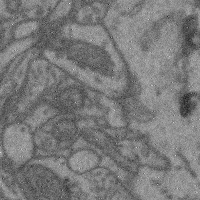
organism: Mouse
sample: Cerebral cortex